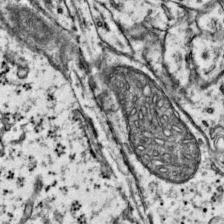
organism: Mouse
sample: Primary visual cortex